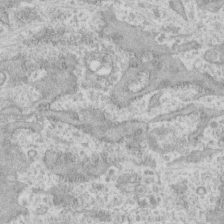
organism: Human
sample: CRL-1474